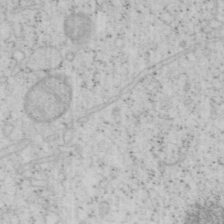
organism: Human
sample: HeLa cells